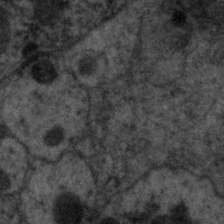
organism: C. elegans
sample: Pharynx